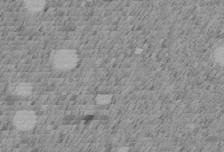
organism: C. elegans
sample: C. elegans embryo early stage